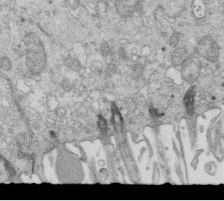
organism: Mouse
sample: Multiciliated cells